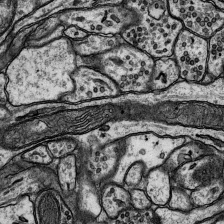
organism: Rat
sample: Hippocampus